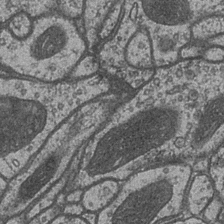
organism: Drosophila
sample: Optic medulla